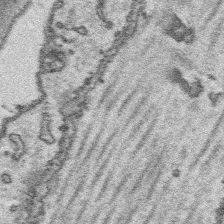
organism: Platynereis dumerilii